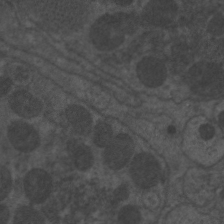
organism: C. elegans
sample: Pharynx